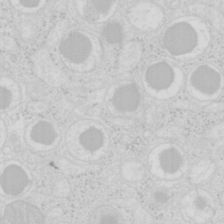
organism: Mouse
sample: Pancreas